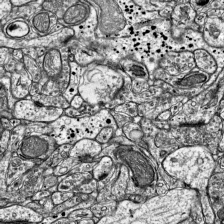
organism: Mouse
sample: Visual Cortex